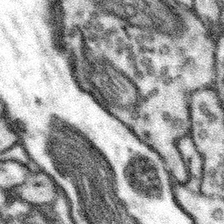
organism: Mouse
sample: Somatosensory cortex neuropil